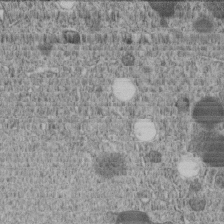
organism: C. elegans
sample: C. elegans embryo early stage